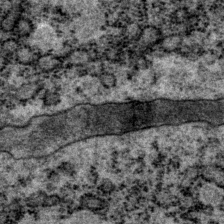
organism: P. pacificus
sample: Pharynx